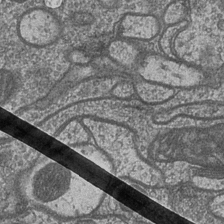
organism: Drosophila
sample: Optic medulla